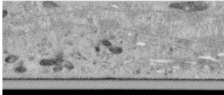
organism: Human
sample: Centriole in RPE cells